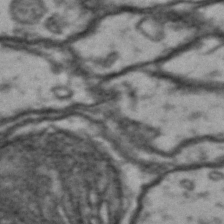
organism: Drosophila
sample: Brain